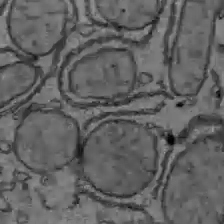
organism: C57BL Mouse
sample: Liver